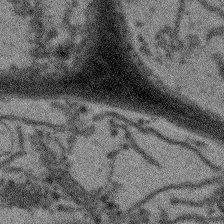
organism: Arabidopsis thaliana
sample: Root tip